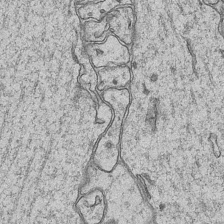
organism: Mouse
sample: CA1 Hippocampus